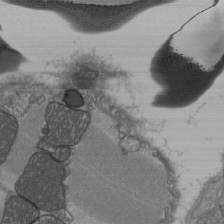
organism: C57BL Mouse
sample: Heart